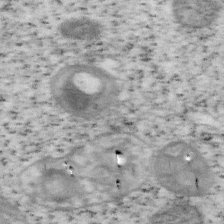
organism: Mouse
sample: OT-I killer T cells with ID8 ovarian cancer cells